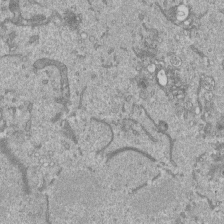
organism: Mouse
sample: ED-1 cell nuclei; centrioles